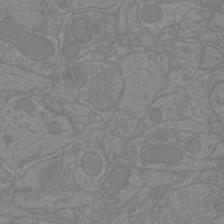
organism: Mouse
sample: Cortical neurons